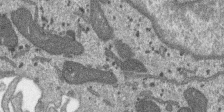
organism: Human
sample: Lung epithelial cells infected with SARS-CoV-2